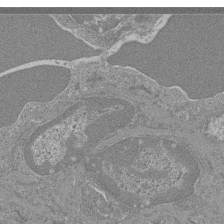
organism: Mouse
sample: Glomerulus